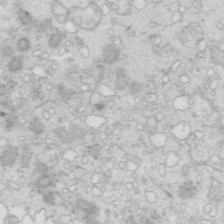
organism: Mouse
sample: Multiciliated cells